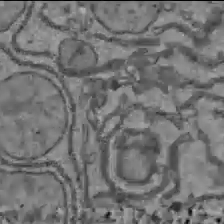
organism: C57BL Mouse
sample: Liver